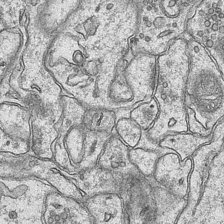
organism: Mouse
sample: CA1 Hippocampus